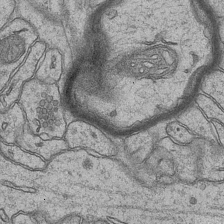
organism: Mouse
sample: CA1 Hippocampus